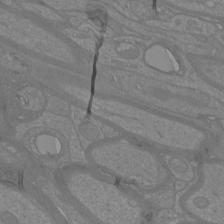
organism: Mouse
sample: Cortical neurons